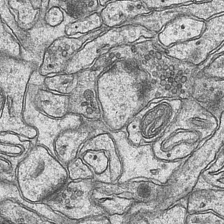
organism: Mouse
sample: CA1 Hippocampus